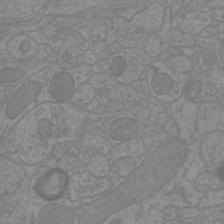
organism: Mouse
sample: Cortical neurons